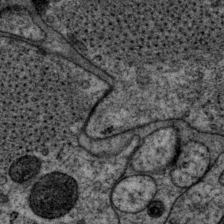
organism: P. pacificus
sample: Pharynx